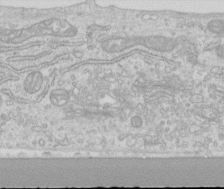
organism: Human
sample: Centriole in RPE cells